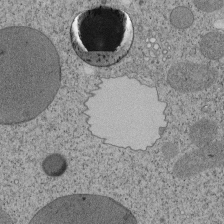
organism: Tetrahymena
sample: Cilia in tetrahymena